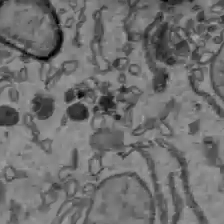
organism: C57BL Mouse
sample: Liver